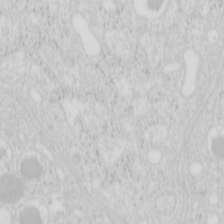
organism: Mouse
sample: Pancreas